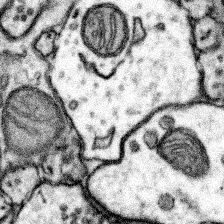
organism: Mouse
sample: Somatosensory cortex neuropil